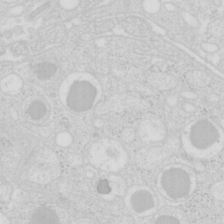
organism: Mouse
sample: Pancreas